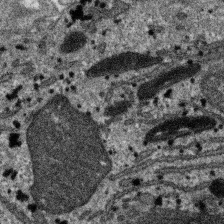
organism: Human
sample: Lung epithelial cells infected with SARS-CoV-2